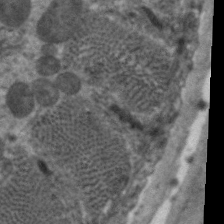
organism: C. elegans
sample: Pharynx